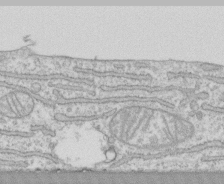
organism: Human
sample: CRL-1474